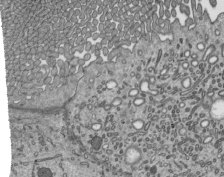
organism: Mouse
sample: Mouse epididymis efferent ductule cilia